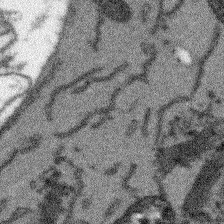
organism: Arabidopsis thaliana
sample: Root tip